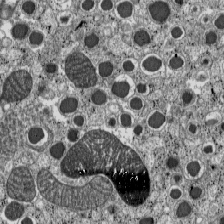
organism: C57BL Mouse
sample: Pancreatic islet